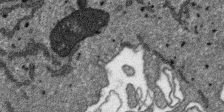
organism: Human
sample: Lung epithelial cells infected with SARS-CoV-2